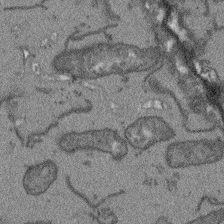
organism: Arabidopsis thaliana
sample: Root tip